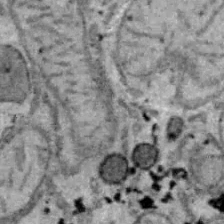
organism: Mouse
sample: Liver from an obese (ob/ob) mouse